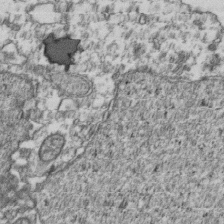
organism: Human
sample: Activated Jurkat CD4+ T cells